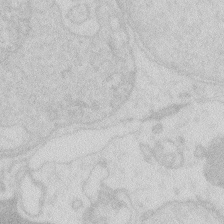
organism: Zebrafish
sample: Macrophage